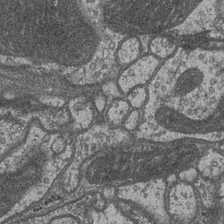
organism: Drosophila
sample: Optic medulla